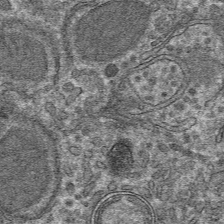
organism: Mouse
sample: Mouse hepatocytes